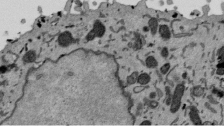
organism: Mouse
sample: ED-1 cell nuclei; centrioles